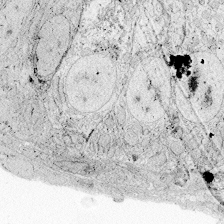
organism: Zebrafish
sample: Whole-Brain